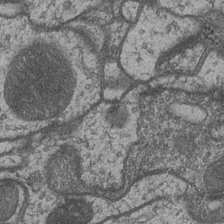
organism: Drosophila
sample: Optic medulla